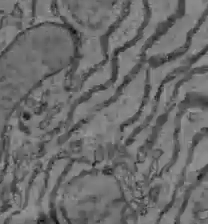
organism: C57BL Mouse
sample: Liver